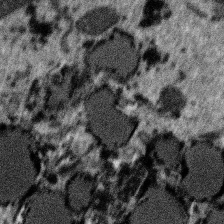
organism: Human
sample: Lung epithelial cells infected with SARS-CoV-2